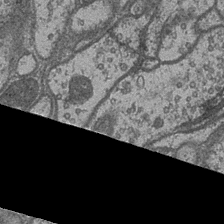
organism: Drosophila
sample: Optic medulla